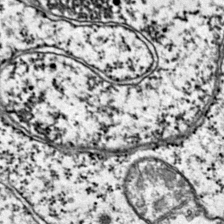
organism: Mouse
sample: Primary visual cortex